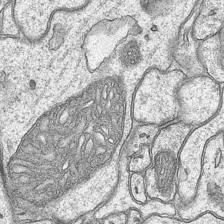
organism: Mouse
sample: CA1 Hippocampus